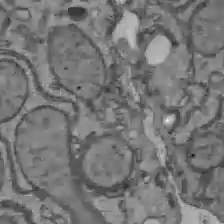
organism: C57BL Mouse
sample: Liver